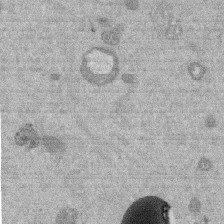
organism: Mouse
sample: Dividing mouse embryo 1 cell stage